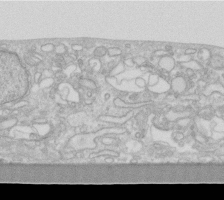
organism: Human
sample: Fibroblast cells